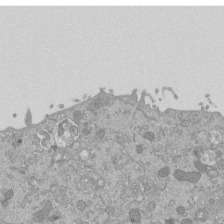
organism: Mouse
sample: ED-1 cell nuclei; centrioles